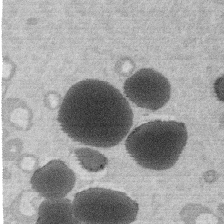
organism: Mouse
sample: Dividing mouse embryo 1 cell stage